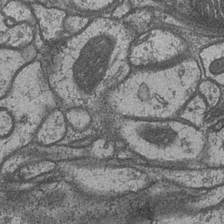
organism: Drosophila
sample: Optic medulla